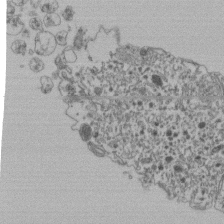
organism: Human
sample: Retinal organoid Rod and Cone cells